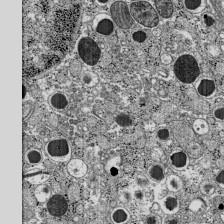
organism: C57BL Mouse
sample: Pancreatic islet